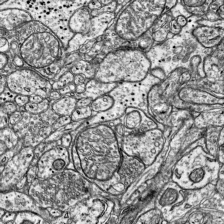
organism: Mouse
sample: Visual Cortex